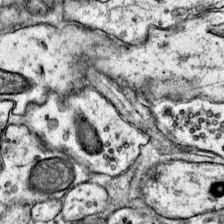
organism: Mouse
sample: Primary visual cortex